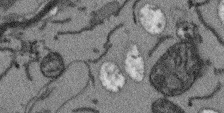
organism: Arabidopsis thaliana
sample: Root tip